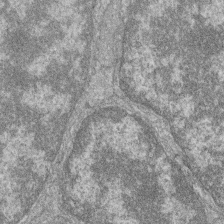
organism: Zebrafish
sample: Cilia; retinal pigment epithelium